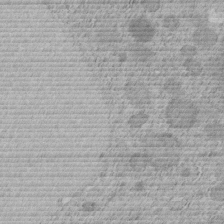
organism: C. elegans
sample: C. elegans embryo early stage